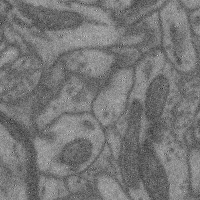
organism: Mouse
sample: Cerebral cortex